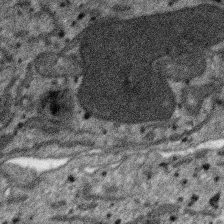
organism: Human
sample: Lung epithelial cells infected with SARS-CoV-2